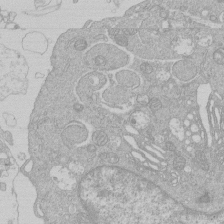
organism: Human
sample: Macrophage cells